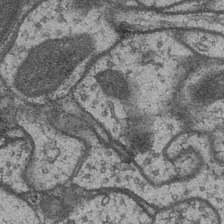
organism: Drosophila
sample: Optic medulla